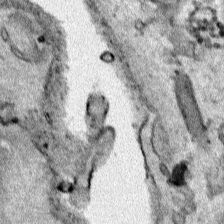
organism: Human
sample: Mitochondria in HCT116 cells